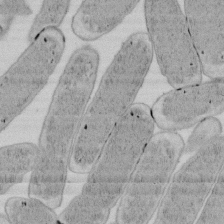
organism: E. coli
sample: Bacterial nucleoid